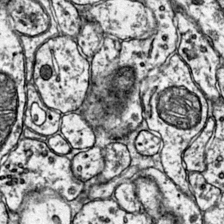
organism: Mouse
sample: Primary visual cortex